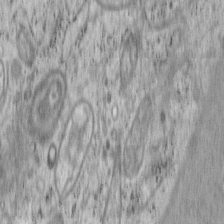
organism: Human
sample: HeLa cells